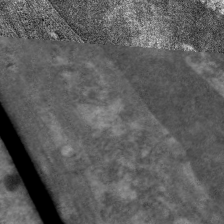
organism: C. elegans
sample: Pharynx